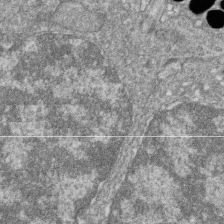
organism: Zebrafish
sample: Cilia; retinal pigment epithelium